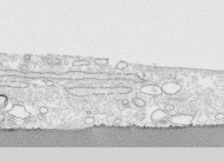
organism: Human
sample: CRL-1474